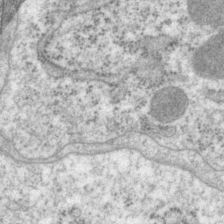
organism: P. pacificus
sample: Pharynx